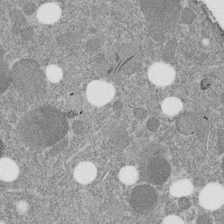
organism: C. elegans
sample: C. elegans embryo early stage